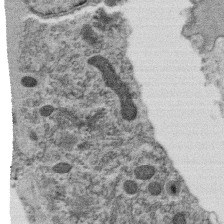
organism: C. elegans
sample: C. elegans oocyte; sperm cells